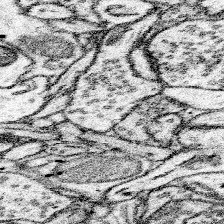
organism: Mouse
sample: Somatosensory cortex neuropil